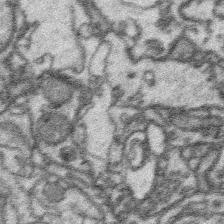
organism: Platynereis dumerilii